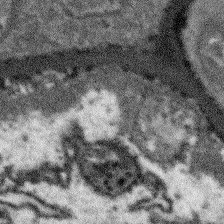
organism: Arabidopsis thaliana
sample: Root tip